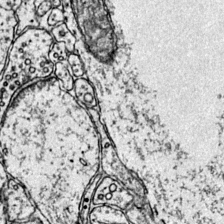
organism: Mouse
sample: Primary visual cortex